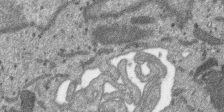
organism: Human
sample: Lung epithelial cells infected with SARS-CoV-2